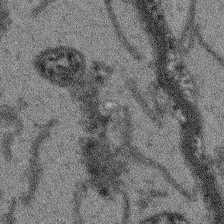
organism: Arabidopsis thaliana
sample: Root tip